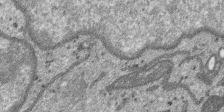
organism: Human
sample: Lung epithelial cells infected with SARS-CoV-2